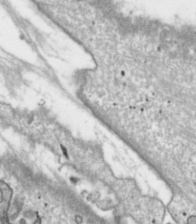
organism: Toxoplasma gondii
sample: Parasites in a vacuole inside a host cell